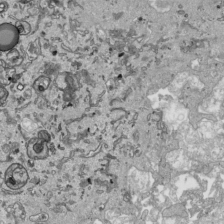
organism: Human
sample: Mitochondria in HCT116 cells